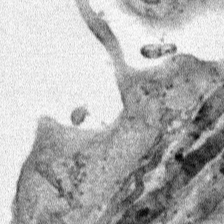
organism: Human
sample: Mitochondria in HCT116 cells